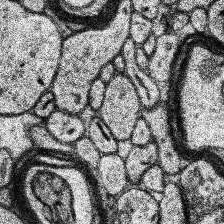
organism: Human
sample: Temporal Lobe